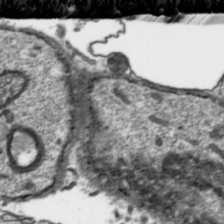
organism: Toxoplasma gondii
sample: Parasites in a vacuole inside a host cell